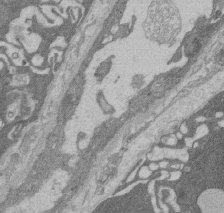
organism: Rat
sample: Salivary granule